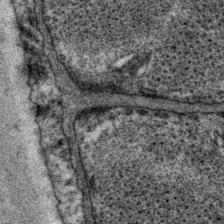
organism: P. pacificus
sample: Pharynx